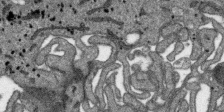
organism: Human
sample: Lung epithelial cells, uninfected (mock) control